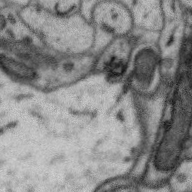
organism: Zebra finch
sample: Brain